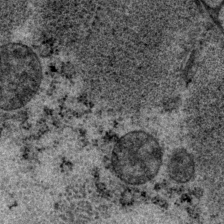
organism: P. pacificus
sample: Pharynx